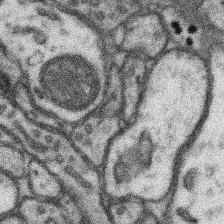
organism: Mouse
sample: Somatosensory cortex neuropil